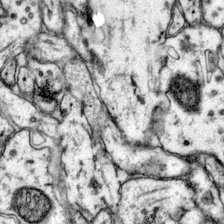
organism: Mouse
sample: Primary visual cortex